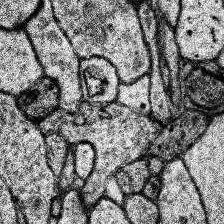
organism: Human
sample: Temporal Lobe